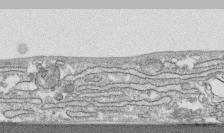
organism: Human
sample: CRL-1474